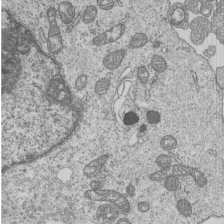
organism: Human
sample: MDA-MB-231 cells